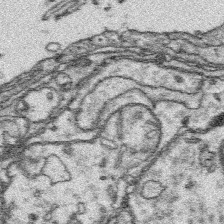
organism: Platynereis dumerilii